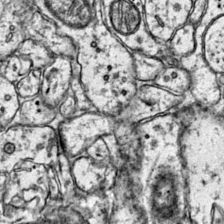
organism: Mouse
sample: Primary visual cortex